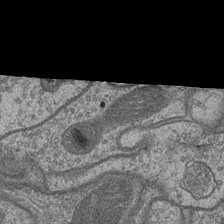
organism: Drosophila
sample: Optic medulla